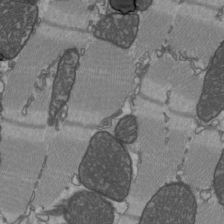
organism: C57BL Mouse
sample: Heart